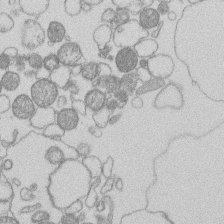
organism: Human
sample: Macrophage cells